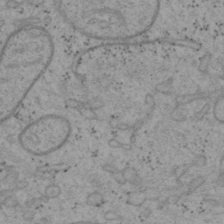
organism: Human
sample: HeLa cells